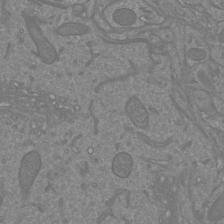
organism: Mouse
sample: Cortical neurons